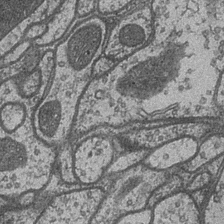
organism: Drosophila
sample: Optic medulla